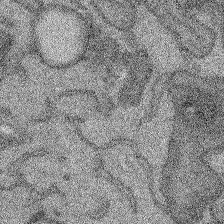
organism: Human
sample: HeLa cells